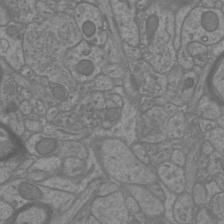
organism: Mouse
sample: Cortical neurons